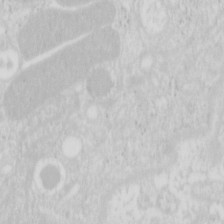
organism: Mouse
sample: Pancreas